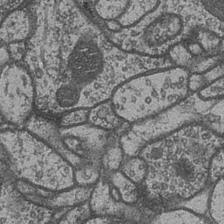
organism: Drosophila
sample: Optic medulla